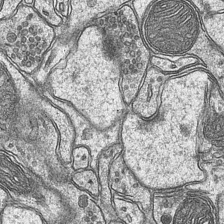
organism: Mouse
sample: CA1 Hippocampus